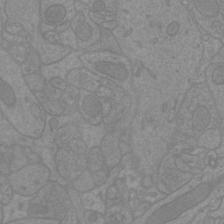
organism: Mouse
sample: Cortical neurons